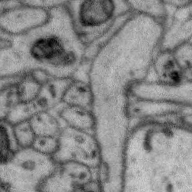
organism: Zebra finch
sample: Brain